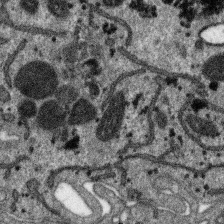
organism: Human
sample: Lung epithelial cells infected with SARS-CoV-2